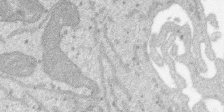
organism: Human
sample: Lung epithelial cells infected with SARS-CoV-2